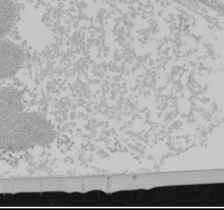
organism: Mouse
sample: Cancer cell death in ED-1 cells